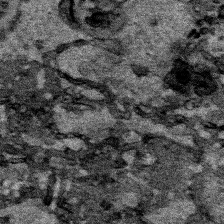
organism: Human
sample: Mitochondria in HCT116 cells